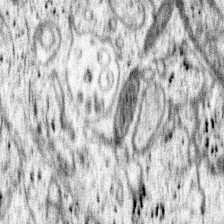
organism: Human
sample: HeLa cells